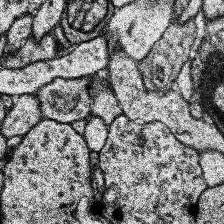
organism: Human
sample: Temporal Lobe